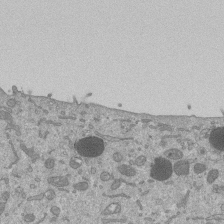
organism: Mouse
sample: ED-1 cell nuclei; centrioles